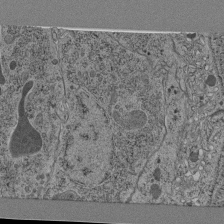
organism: C. elegans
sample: C. elegans pharynx